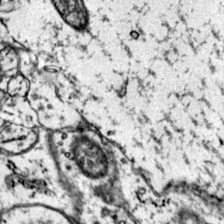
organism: Mouse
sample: Primary visual cortex